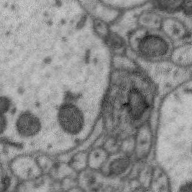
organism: Zebra finch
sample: Brain